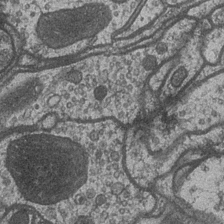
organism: Drosophila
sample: Optic medulla